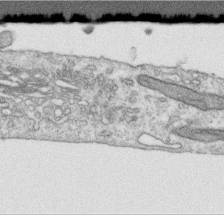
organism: Human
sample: Centriole in RPE cells